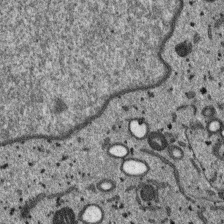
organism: Human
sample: Lung epithelial cells infected with SARS-CoV-2